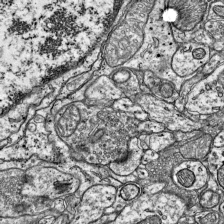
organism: Mouse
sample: Visual Cortex